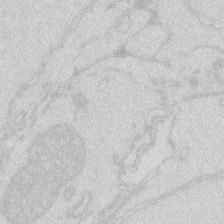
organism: Zebrafish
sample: Macrophage